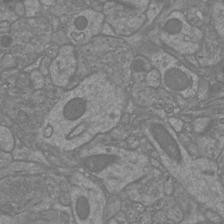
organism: Mouse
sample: Cortical neurons